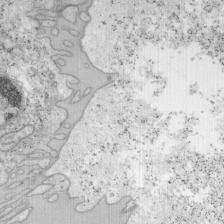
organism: Mouse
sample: OT-I killer T cells with ID8 ovarian cancer cells